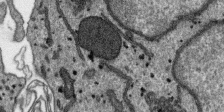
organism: Human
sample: Lung epithelial cells, uninfected (mock) control